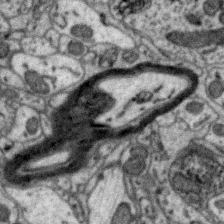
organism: Zebra finch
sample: Brain